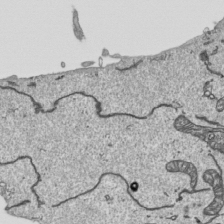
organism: Human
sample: Mitochondria in HCT116 cells